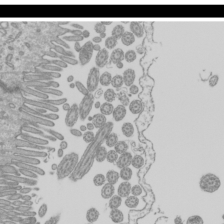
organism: Mouse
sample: Cilia; mouse epididymis